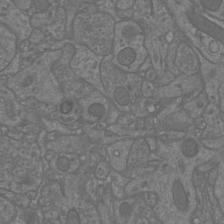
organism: Mouse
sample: Cortical neurons